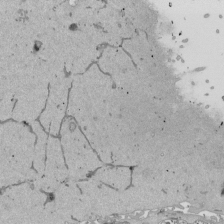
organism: Mouse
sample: ED-1 cell nuclei; centrioles